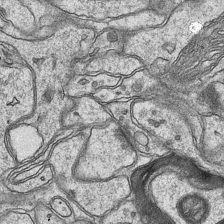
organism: Mouse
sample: CA1 Hippocampus